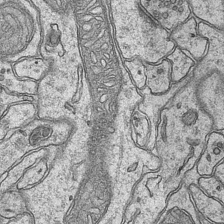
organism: Mouse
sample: CA1 Hippocampus